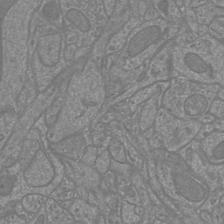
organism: Mouse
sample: Cortical neurons